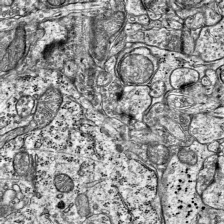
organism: Mouse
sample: Visual Cortex